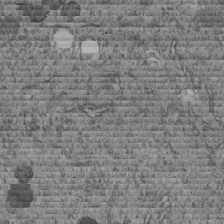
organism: C. elegans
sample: C. elegans embryo early stage